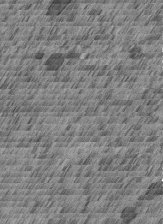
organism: C. elegans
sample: C. elegans embryo early stage